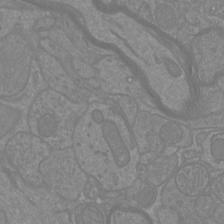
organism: Mouse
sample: Cortical neurons